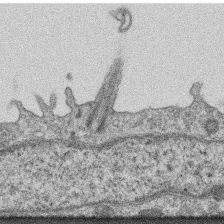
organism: Mouse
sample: Centriole in ependymal cells